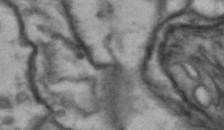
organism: Drosophila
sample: Brain